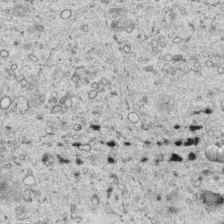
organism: Human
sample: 1205lu cells